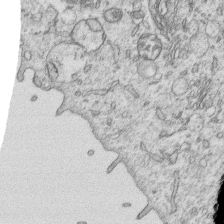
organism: Human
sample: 1205lu cells